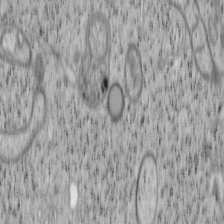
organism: Human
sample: HeLa cells